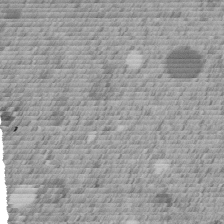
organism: C. elegans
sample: C. elegans embryo early stage